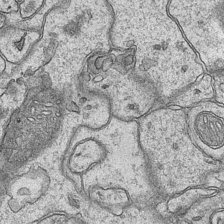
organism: Mouse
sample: CA1 Hippocampus